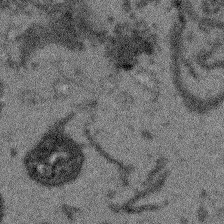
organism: Arabidopsis thaliana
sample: Root tip